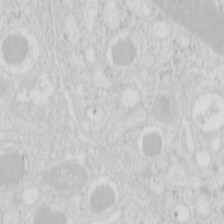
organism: Mouse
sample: Pancreas